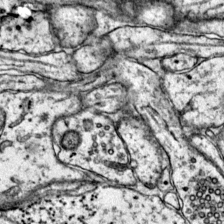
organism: Mouse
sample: Primary visual cortex